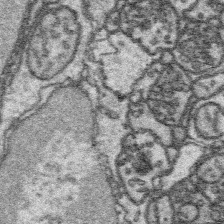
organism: Platynereis dumerilii